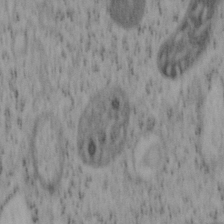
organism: Mouse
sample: OT-I killer T cells with ID8 ovarian cancer cells